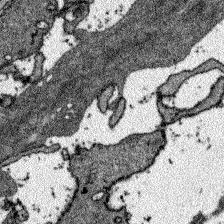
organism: Zebrafish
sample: Larval olfactory bulb